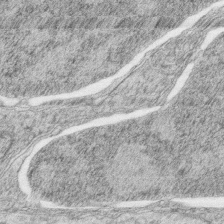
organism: Zebrafish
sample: synaptic ribbons in rod cells and cone cells